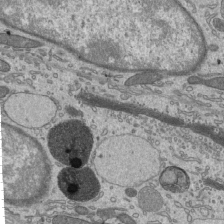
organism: Mouse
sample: Mouse epididymis efferent ductule cilia